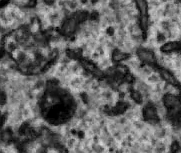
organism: Human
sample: HeLa cells